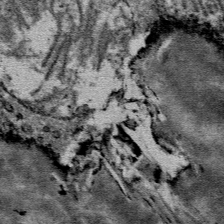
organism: Mouse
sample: Mouse Salivary gland